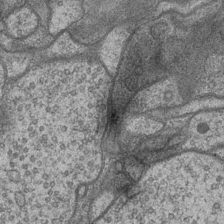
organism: Drosophila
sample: Optic medulla